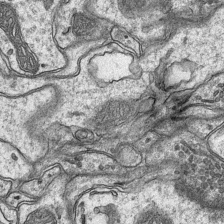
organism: Mouse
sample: CA1 Hippocampus